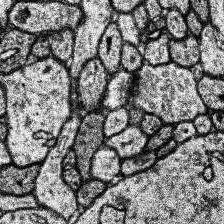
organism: Human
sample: Temporal Lobe